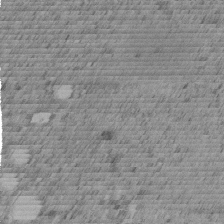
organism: C. elegans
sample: C. elegans embryo early stage